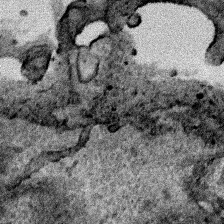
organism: Human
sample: Mitochondria in HCT116 cells